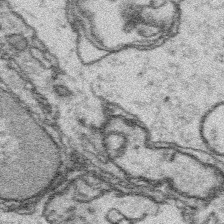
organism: Platynereis dumerilii